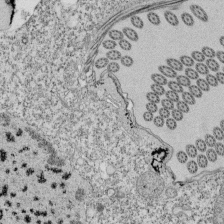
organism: Tetrahymena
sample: Cilia in tetrahymena